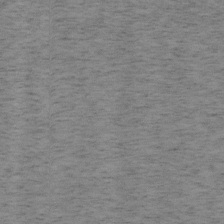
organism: Mouse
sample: OT-I killer T cells with ID8 ovarian cancer cells